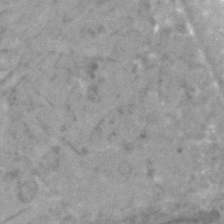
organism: Human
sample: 1205lu cells